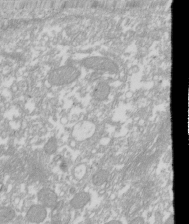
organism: Xenopus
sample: Cilia; centrioles in frog embryo cells